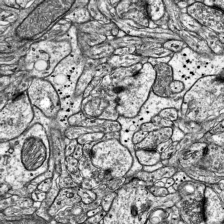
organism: Mouse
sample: Visual Cortex